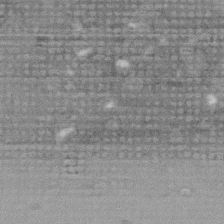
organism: Human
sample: Fibroblast cells